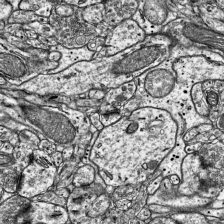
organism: Mouse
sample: Visual Cortex